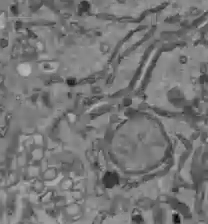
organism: C57BL Mouse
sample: Liver